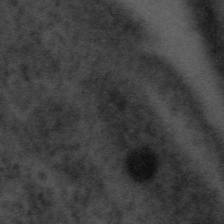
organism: Tuwongella immobilis